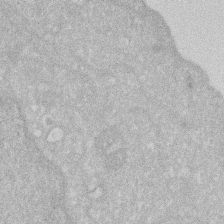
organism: Human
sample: HIV infected U937 cells